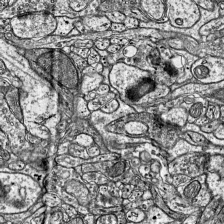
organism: Mouse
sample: Visual Cortex